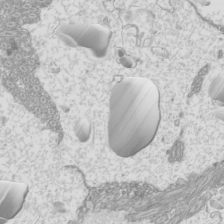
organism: Mouse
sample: Cilia; mouse epididymis